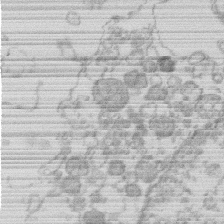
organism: Human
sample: Macrophage cells